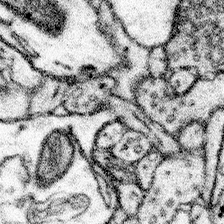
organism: Mouse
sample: Somatosensory cortex neuropil